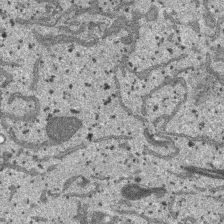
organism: Human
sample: Lung epithelial cells infected with SARS-CoV-2